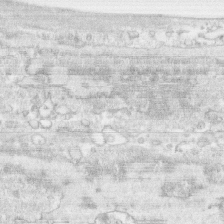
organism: Human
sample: CRL-1474